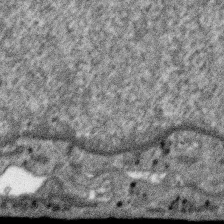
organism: Human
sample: Lung epithelial cells infected with SARS-CoV-2